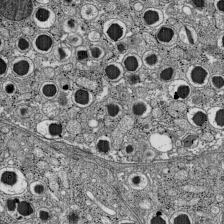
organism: C57BL Mouse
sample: Pancreatic islet